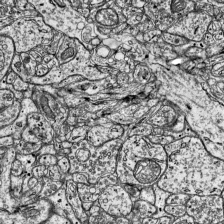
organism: Mouse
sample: Visual Cortex